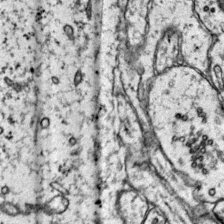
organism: Mouse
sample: Primary visual cortex